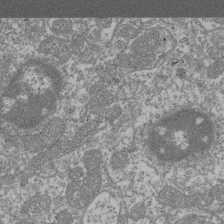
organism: Mouse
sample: Glomerulus